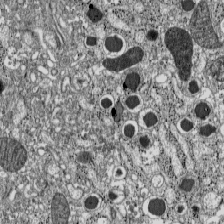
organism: C57BL Mouse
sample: Pancreatic islet